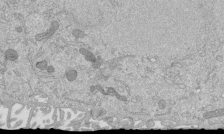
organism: Mouse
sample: ED-1 cell nuclei; centrioles